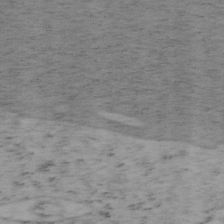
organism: Mouse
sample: OT-I killer T cells with ID8 ovarian cancer cells